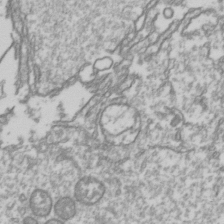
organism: Drosophila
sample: Cell division; meiosis; drosophila spermatocytes